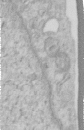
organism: Human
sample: Centriole in RPE cells